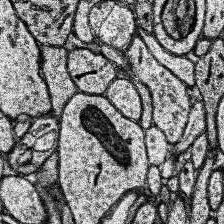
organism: Human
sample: Temporal Lobe